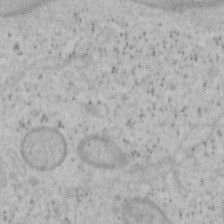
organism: Human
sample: HeLa cells